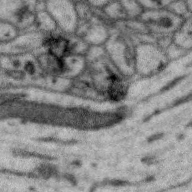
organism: Zebra finch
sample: Brain